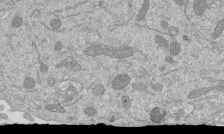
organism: Mouse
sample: ED-1 cell nuclei; centrioles